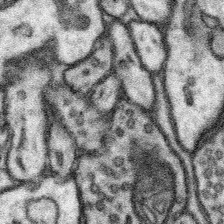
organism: Mouse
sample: Somatosensory cortex neuropil